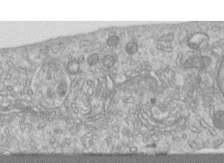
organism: Human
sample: Centriole in RPE cells